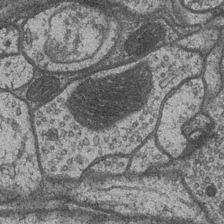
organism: Drosophila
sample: Optic medulla